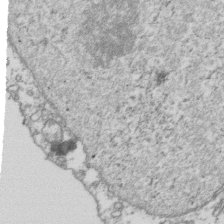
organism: Human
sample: Activated Jurkat CD4+ T cells